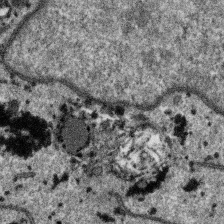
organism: Human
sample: Lung epithelial cells infected with SARS-CoV-2